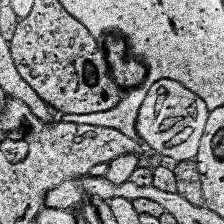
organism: Human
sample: Temporal Lobe